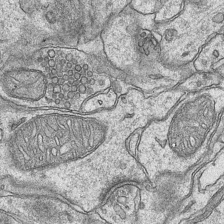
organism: Mouse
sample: CA1 Hippocampus